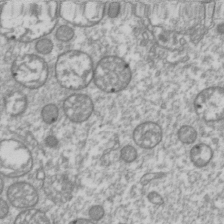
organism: Drosophila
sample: Cell division; meiosis; drosophila spermatocytes